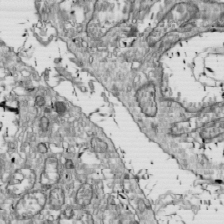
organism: Drosophila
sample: Cell division; meiosis; drosophila spermatocytes